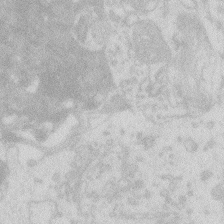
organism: Zebrafish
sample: Macrophage